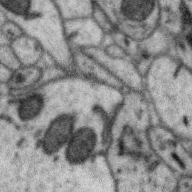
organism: Zebra finch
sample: Brain